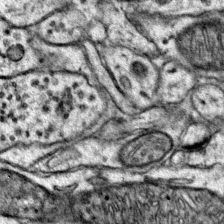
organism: Mouse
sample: Primary visual cortex